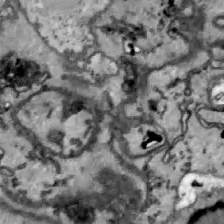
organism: Zebrafish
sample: Actinotrichia fibers